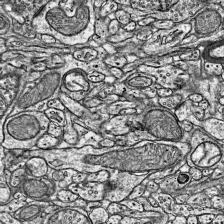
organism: Mouse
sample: Visual Cortex